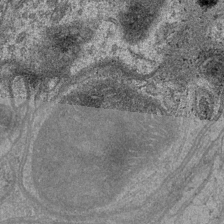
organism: Drosophila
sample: Optic medulla